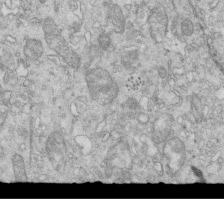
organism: Mouse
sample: Multiciliated cells